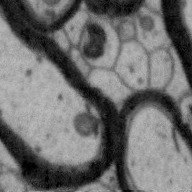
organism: Zebra finch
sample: Brain